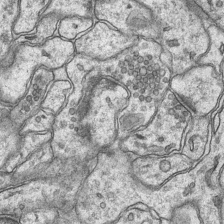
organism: Mouse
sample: CA1 Hippocampus